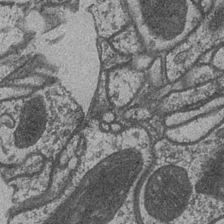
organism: Drosophila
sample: Optic medulla